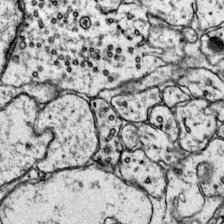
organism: Mouse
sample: Primary visual cortex